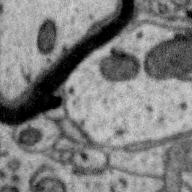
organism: Zebra finch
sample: Brain